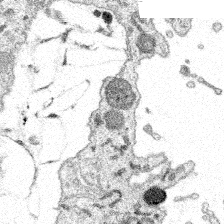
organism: Spongilla lacustris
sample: Multiple